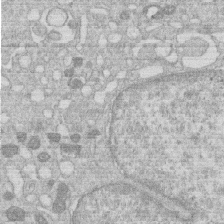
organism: Human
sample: Macrophage cells